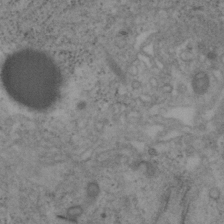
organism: Mouse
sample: OT-I killer T cells with ID8 ovarian cancer cells